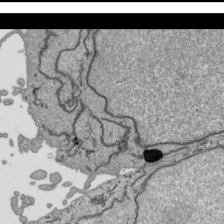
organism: Human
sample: Mitochondria in HCT116 cells